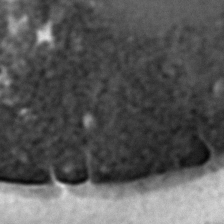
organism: C. elegans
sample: C. elegans embryo